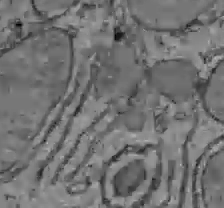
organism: C57BL Mouse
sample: Liver